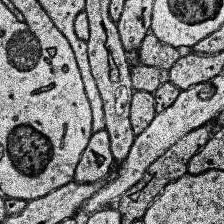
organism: Human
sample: Temporal Lobe